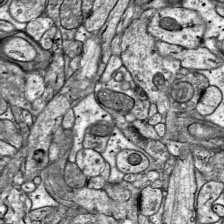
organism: Mouse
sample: Visual Cortex